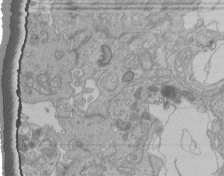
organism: Human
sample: Retinal organoid Rod and Cone cells